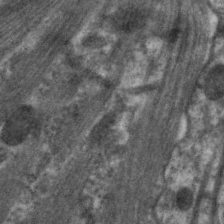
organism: C. elegans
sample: Pharynx